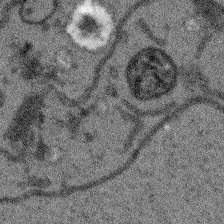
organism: Arabidopsis thaliana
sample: Root tip